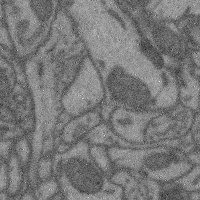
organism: Mouse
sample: Cerebral cortex